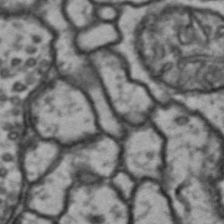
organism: Drosophila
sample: Brain